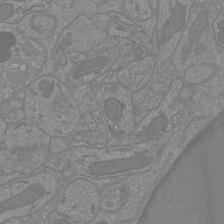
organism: Mouse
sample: Cortical neurons